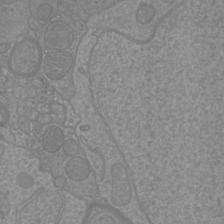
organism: Mouse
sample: Cortical neurons